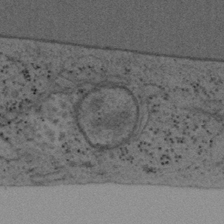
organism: Human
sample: HeLa cells